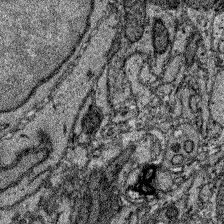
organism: Zebrafish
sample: Larval olfactory bulb